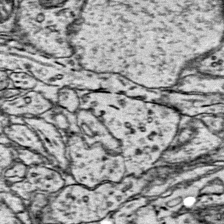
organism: Mouse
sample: Primary visual cortex